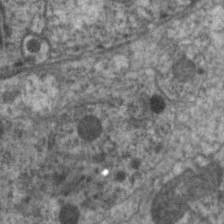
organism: C. elegans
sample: Pharynx